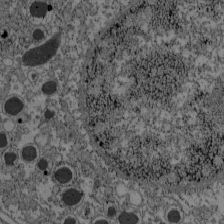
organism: C57BL Mouse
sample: Pancreatic islet